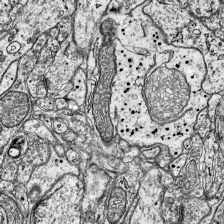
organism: Mouse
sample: Visual Cortex